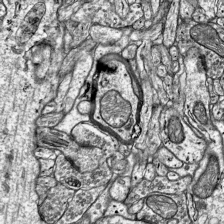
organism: Mouse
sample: Visual Cortex